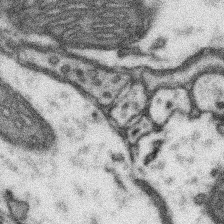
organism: Mouse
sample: Somatosensory cortex neuropil